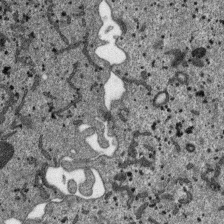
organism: Human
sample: Lung epithelial cells infected with SARS-CoV-2